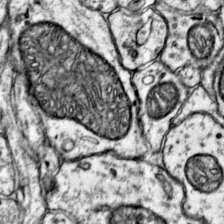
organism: Mouse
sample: Primary visual cortex